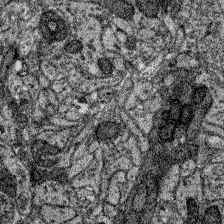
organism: Zebrafish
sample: Larval olfactory bulb